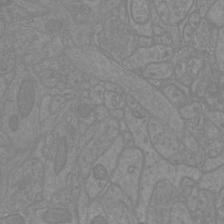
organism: Mouse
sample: Cortical neurons